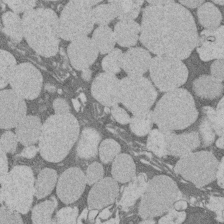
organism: Rat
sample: Salivary granule